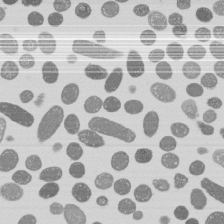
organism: E. coli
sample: Bacterial nucleoid